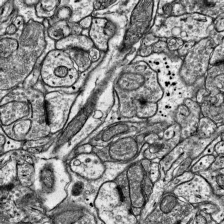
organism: Mouse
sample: Visual Cortex